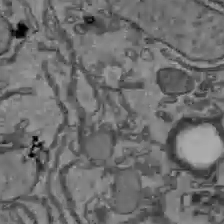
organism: C57BL Mouse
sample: Liver